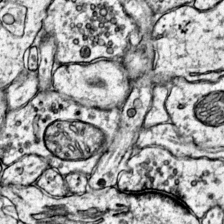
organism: Mouse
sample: Primary visual cortex